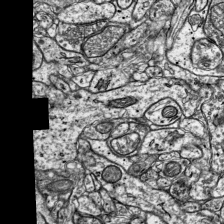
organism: Mouse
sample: Visual Cortex